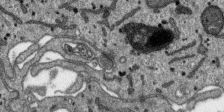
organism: Human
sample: Lung epithelial cells, uninfected (mock) control